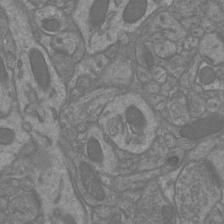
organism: Mouse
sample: Cortical neurons